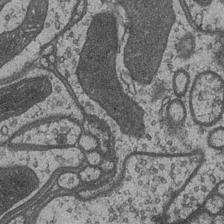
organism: Drosophila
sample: Optic medulla